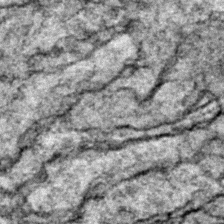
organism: Zebrafish